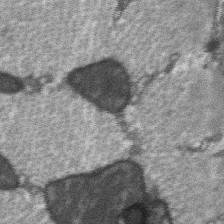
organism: C57BL Mouse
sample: Soleus